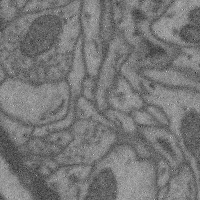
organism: Mouse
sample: Cerebral cortex